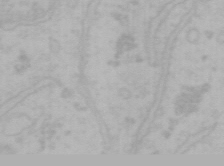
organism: Mouse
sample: Choroid plexus